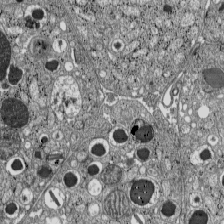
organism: C57BL Mouse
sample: Pancreatic islet